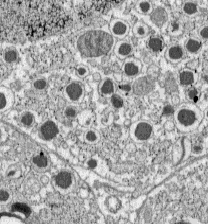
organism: C57BL Mouse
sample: Pancreatic islet